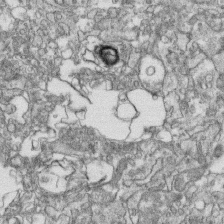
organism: Human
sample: CRL-1474